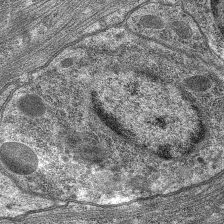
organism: C. elegans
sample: Pharynx